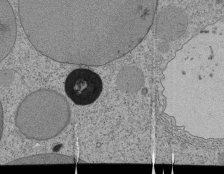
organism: Tetrahymena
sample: Cilia in tetrahymena